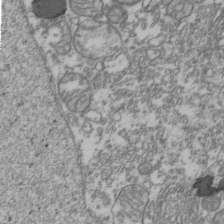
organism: Human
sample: Activated Jurkat CD4+ T cells